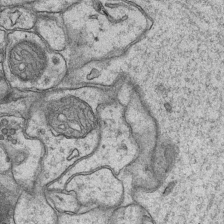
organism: Mouse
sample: CA1 Hippocampus